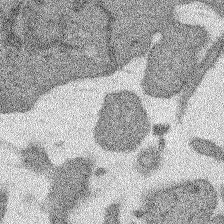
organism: Human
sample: HeLa cells